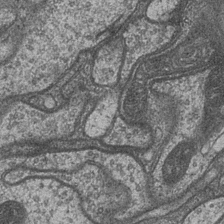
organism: Drosophila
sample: Optic medulla